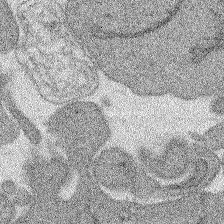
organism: Human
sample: HeLa cells